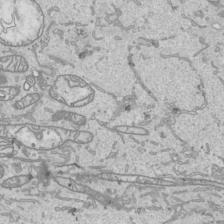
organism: Human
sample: Mitochondria in HCT116 cells